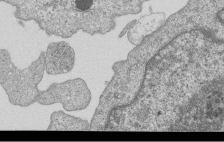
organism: Human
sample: MDA-MB-231 cells